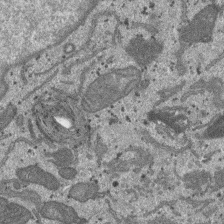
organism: Human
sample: Lung epithelial cells infected with SARS-CoV-2